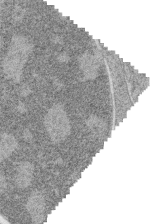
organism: Zebrafish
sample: synaptic ribbons in rod cells and cone cells